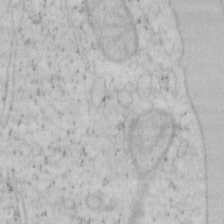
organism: Human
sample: HeLa cells